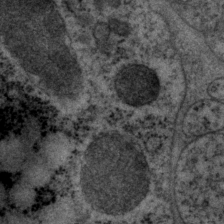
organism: P. pacificus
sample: Pharynx